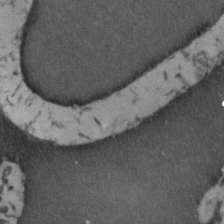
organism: Zebrafish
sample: Zebrafish embryo